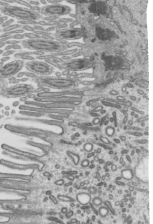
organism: Mouse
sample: Mouse epididymis efferent ductule cilia